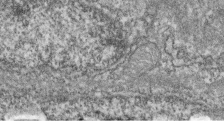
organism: Zebrafish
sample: Cilia; retinal pigment epithelium